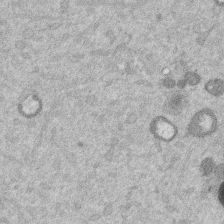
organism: Mouse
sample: Dividing mouse embryo 1 cell stage